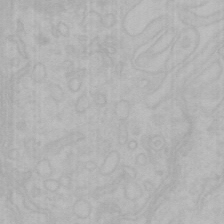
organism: Mouse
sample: Choroid plexus